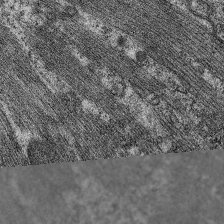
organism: C. elegans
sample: Pharynx